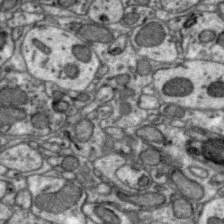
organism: Zebra finch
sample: Brain